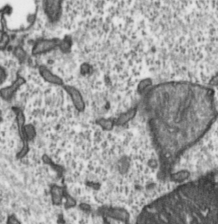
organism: Toxoplasma gondii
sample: Parasites in a vacuole inside a host cell